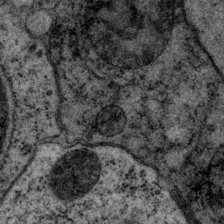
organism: P. pacificus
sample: Pharynx